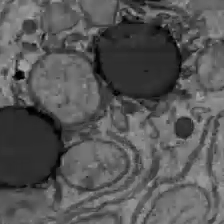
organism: C57BL Mouse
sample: Liver